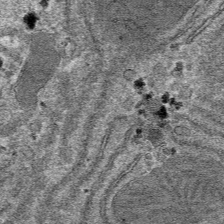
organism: Mouse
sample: Mouse hepatocytes